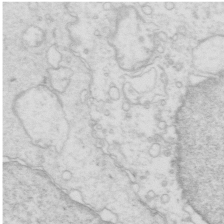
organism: Mouse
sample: Multiciliated cells